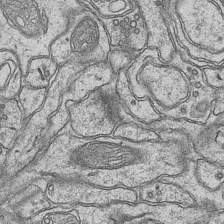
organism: Mouse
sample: CA1 Hippocampus